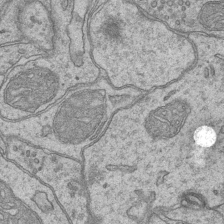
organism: Mouse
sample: CA1 Hippocampus